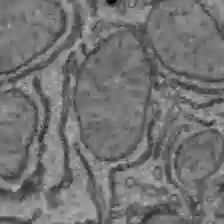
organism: C57BL Mouse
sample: Liver